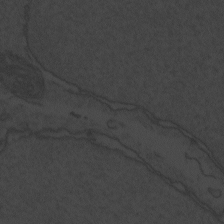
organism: Zebrafish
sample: Macrophage infected with Toxoplasma gondii